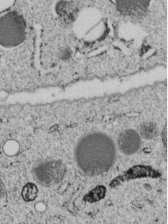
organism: C. elegans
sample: C. elegans embryo early stage